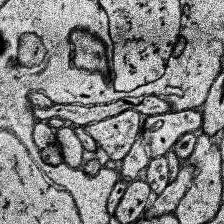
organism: Human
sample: Temporal Lobe